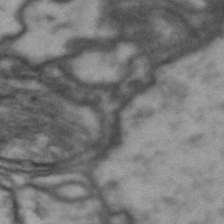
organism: Drosophila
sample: Brain